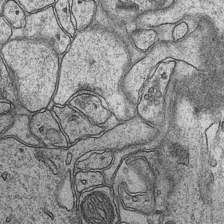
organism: Mouse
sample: CA1 Hippocampus